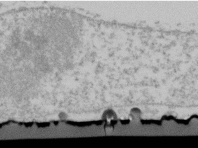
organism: Human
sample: U2-OS cells